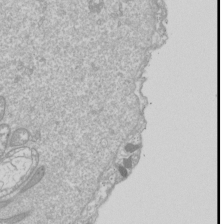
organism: Drosophila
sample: Cell division; meiosis; drosophila spermatocytes